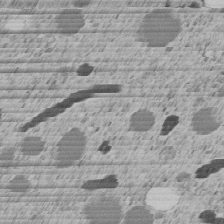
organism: C. elegans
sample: C. elegans embryo early stage